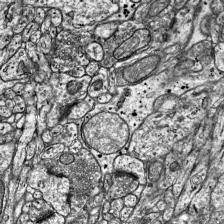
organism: Mouse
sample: Visual Cortex